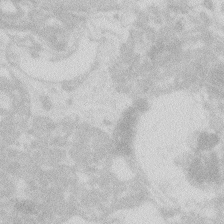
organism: Zebrafish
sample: Macrophage